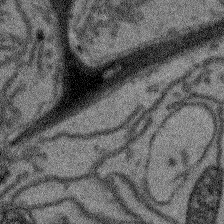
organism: Arabidopsis thaliana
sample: Root tip